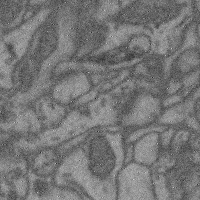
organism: Mouse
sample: Cerebral cortex